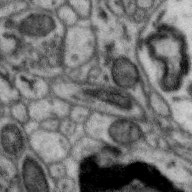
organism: Zebra finch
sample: Brain